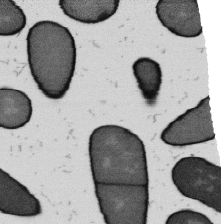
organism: B. subtilis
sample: Bacterial spore